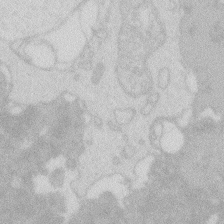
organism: Zebrafish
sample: Macrophage